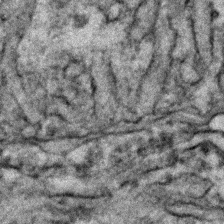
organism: Zebrafish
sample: Zebrafish embryo